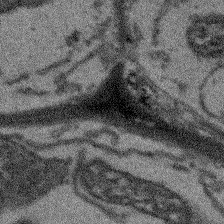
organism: Arabidopsis thaliana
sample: Root tip